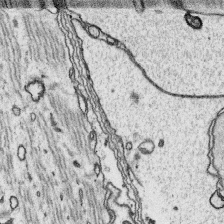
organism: Platynereis dumerilii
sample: Parapodia